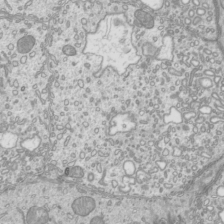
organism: Mouse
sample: Cilia; mouse epididymis